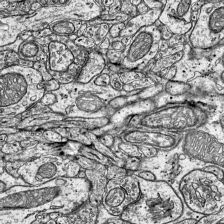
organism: Mouse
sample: Visual Cortex